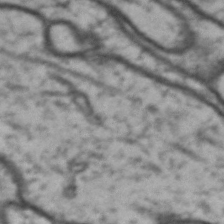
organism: Drosophila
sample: Brain